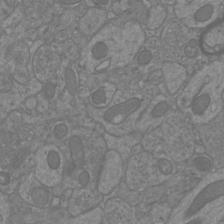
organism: Mouse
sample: Cortical neurons